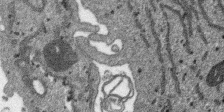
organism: Human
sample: Lung epithelial cells infected with SARS-CoV-2